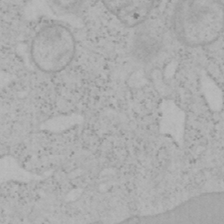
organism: Mouse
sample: OT-I killer T cells with ID8 ovarian cancer cells